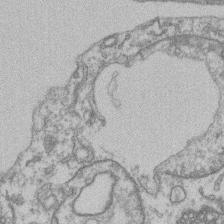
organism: Mouse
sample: T cell stromal cell synapse